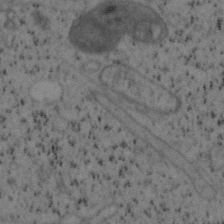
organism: Human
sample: HeLa cells